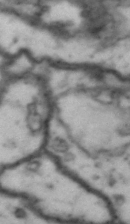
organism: Drosophila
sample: Brain